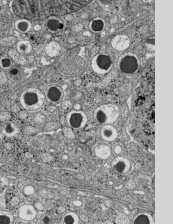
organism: C57BL Mouse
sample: Pancreatic islet